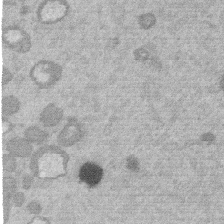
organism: Mouse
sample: Dividing mouse embryo 1 cell stage